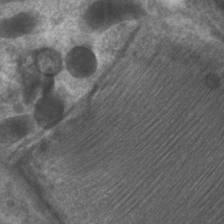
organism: C. elegans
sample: Pharynx